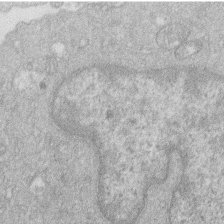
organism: Human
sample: Macrophage cells